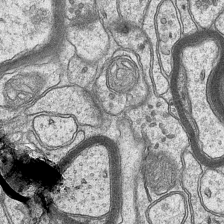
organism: Mouse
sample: CA1 Hippocampus